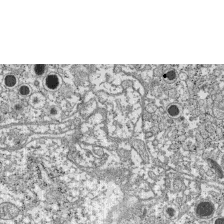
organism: C57BL Mouse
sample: Pancreatic islet